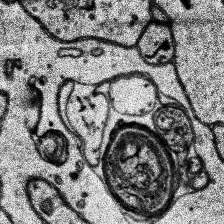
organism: Human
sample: Temporal Lobe